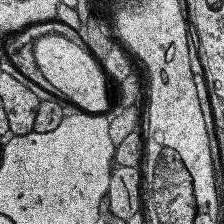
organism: Human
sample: Temporal Lobe